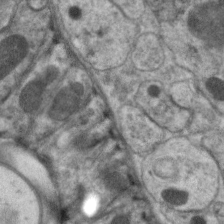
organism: C. elegans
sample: Pharynx